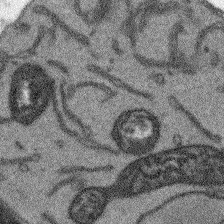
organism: Arabidopsis thaliana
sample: Root tip